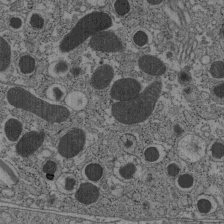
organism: C57BL Mouse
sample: Pancreatic islet